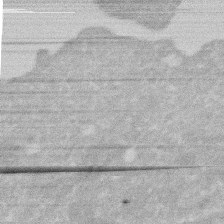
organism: Human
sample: HIV infected U937 cells